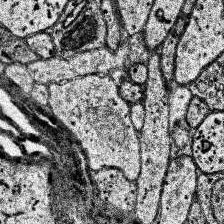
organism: Human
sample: Temporal Lobe